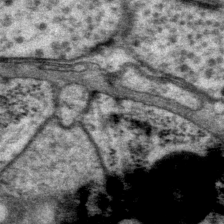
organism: P. pacificus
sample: Pharynx